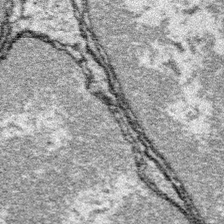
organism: Platynereis dumerilii